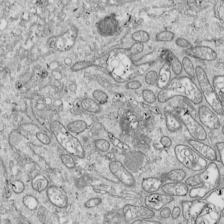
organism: Drosophila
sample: Cell division; meiosis; drosophila spermatocytes